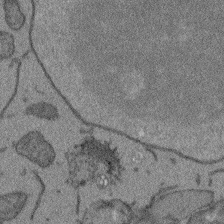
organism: Arabidopsis thaliana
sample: Root tip